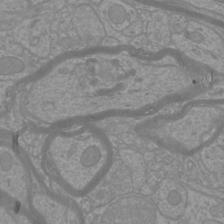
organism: Mouse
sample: Cortical neurons